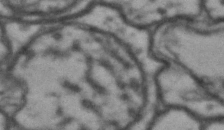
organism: Drosophila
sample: Brain